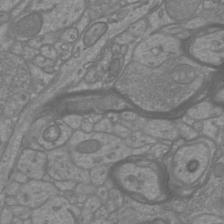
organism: Mouse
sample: Cortical neurons